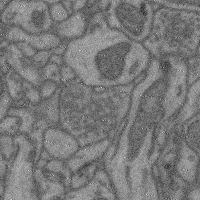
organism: Mouse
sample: Cerebral cortex